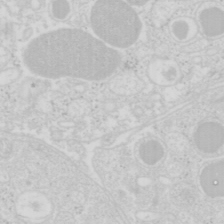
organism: Mouse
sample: Pancreas